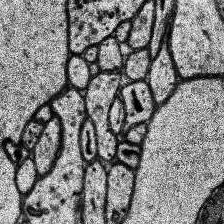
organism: Human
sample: Temporal Lobe